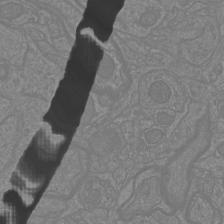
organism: Mouse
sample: Cortical neurons